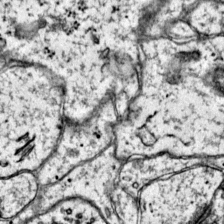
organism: Mouse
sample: Primary visual cortex